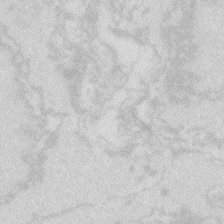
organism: Zebrafish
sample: Macrophage